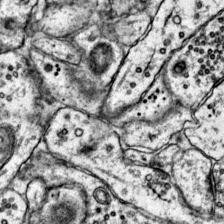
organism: Mouse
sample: Primary visual cortex